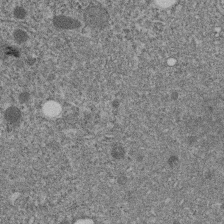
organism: C. elegans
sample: C. elegans embryo early stage